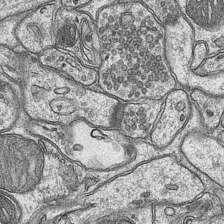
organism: Mouse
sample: CA1 Hippocampus